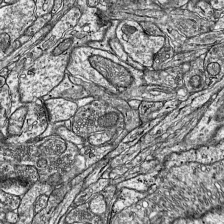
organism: Mouse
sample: Visual Cortex